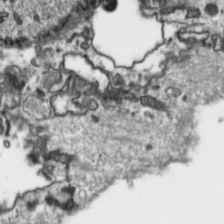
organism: Toxoplasma gondii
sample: Parasites in a vacuole inside a host cell